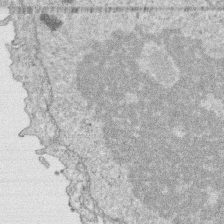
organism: Human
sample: HeLa cell HIV synapse